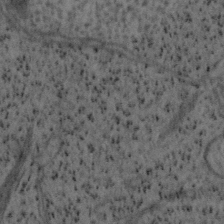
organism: Human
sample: HeLa cells